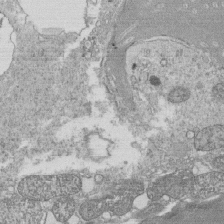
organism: Tetrahymena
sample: Cilia in tetrahymena